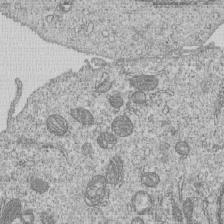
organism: Human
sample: MDA-MB-231 cells